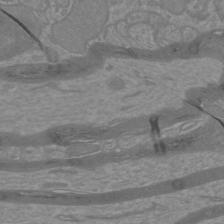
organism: Mouse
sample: Cortical neurons